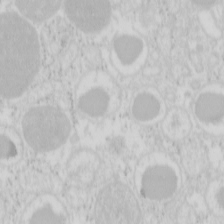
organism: Mouse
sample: Pancreas